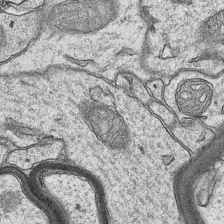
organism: Mouse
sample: CA1 Hippocampus